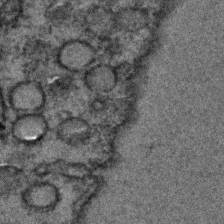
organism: C. elegans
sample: C. elegans embryo